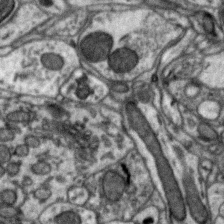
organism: Zebra finch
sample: Brain